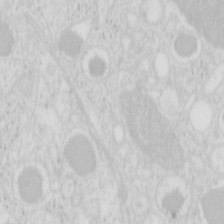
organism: Mouse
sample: Pancreas